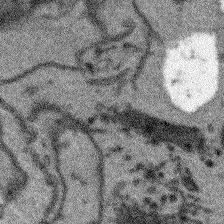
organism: Arabidopsis thaliana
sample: Root tip